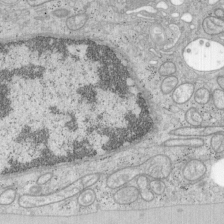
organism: Mouse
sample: OT-I killer T cells with ID8 ovarian cancer cells